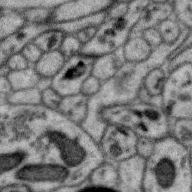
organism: Zebra finch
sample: Brain